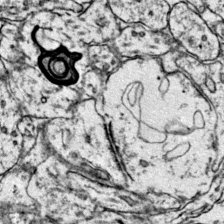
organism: Mouse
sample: Primary visual cortex